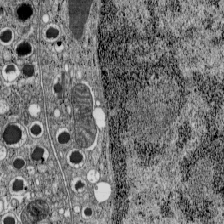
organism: C57BL Mouse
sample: Pancreatic islet